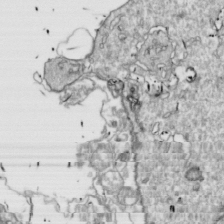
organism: Drosophila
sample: Cell division; meiosis; drosophila spermatocytes